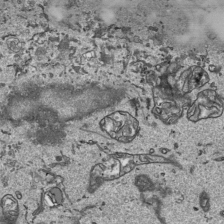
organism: Human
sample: Mitochondria in HCT116 cells